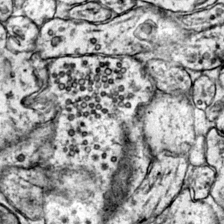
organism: Mouse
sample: Primary visual cortex